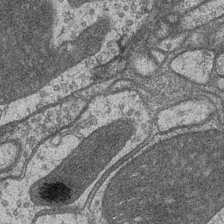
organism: Drosophila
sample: Optic medulla